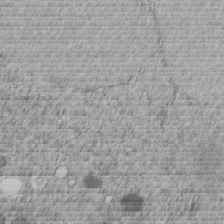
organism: C. elegans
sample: C. elegans embryo early stage